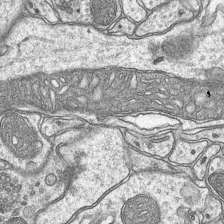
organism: Mouse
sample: CA1 Hippocampus